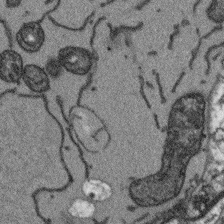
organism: Arabidopsis thaliana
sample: Root tip